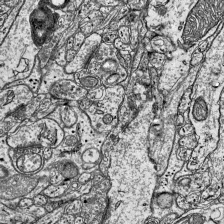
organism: Mouse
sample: Visual Cortex